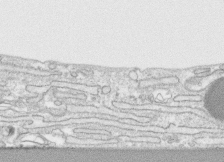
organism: Human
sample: CRL-1474